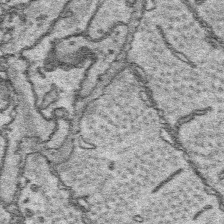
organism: Platynereis dumerilii